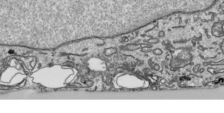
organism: Human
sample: Mitochondria in HCT116 cells